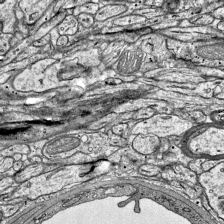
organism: Mouse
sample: Visual Cortex